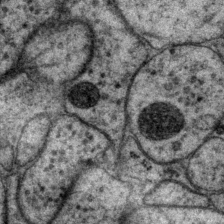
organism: P. pacificus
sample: Pharynx